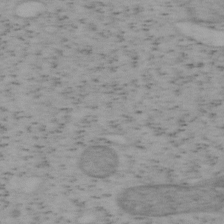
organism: Mouse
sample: OT-I killer T cells with ID8 ovarian cancer cells